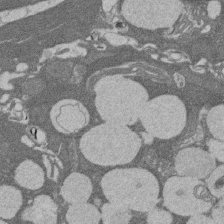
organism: Rat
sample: Salivary granule